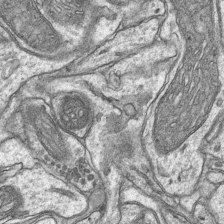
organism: Mouse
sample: CA1 Hippocampus